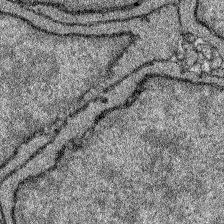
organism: Zebrafish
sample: Larval olfactory bulb